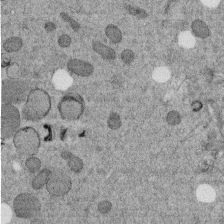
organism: C. elegans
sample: C. elegans embryo early stage